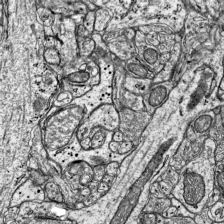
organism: Mouse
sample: Visual Cortex